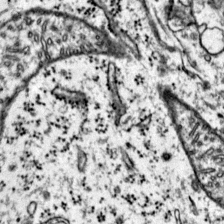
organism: Mouse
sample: Primary visual cortex